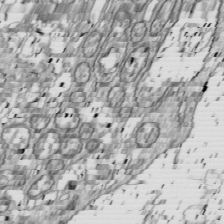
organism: Drosophila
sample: Cell division; meiosis; drosophila spermatocytes